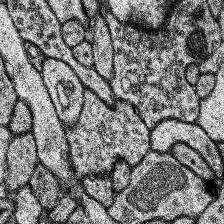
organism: Human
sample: Temporal Lobe